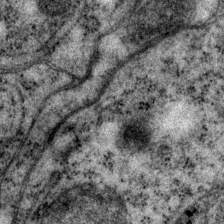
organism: P. pacificus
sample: Pharynx